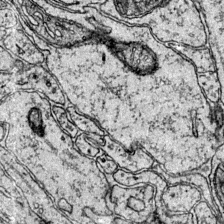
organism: Mouse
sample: Primary visual cortex